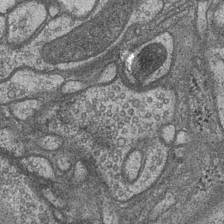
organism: Drosophila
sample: Optic medulla